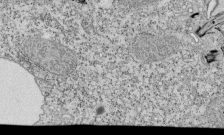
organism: Tetrahymena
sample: Cilia in tetrahymena